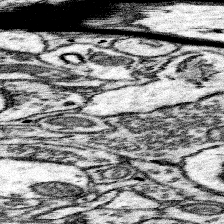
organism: Mouse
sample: Somatosensory cortex neuropil